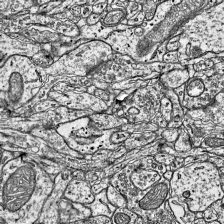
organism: Mouse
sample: Visual Cortex